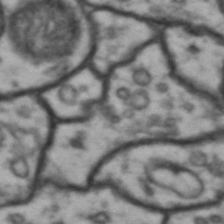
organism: Drosophila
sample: Brain